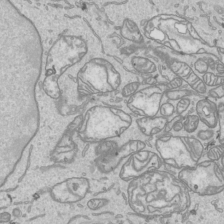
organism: Human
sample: Mitochondria in HCT116 cells